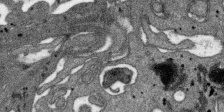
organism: Human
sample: Lung epithelial cells, uninfected (mock) control